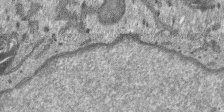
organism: Human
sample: Lung epithelial cells infected with SARS-CoV-2